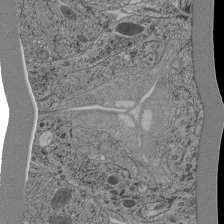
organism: C. elegans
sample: C. elegans pharynx